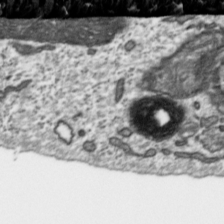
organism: Toxoplasma gondii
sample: Parasites in a vacuole inside a host cell